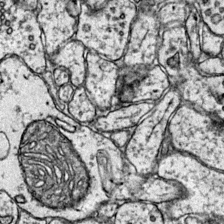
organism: Mouse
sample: Primary visual cortex